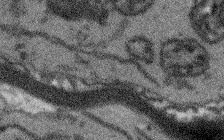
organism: Arabidopsis thaliana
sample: Root tip